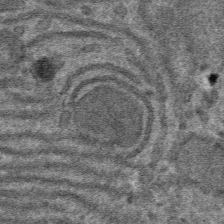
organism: Mouse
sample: Mouse hepatocytes